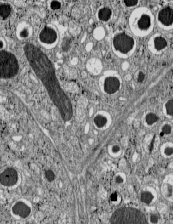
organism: C57BL Mouse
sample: Pancreatic islet